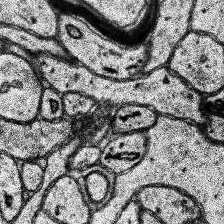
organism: Human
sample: Temporal Lobe